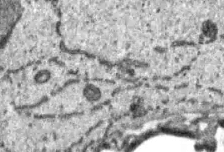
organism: Human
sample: HeLa cells